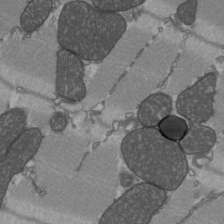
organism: C57BL Mouse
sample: Heart